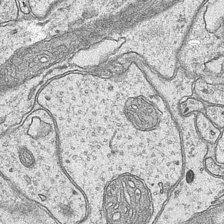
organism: Mouse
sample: CA1 Hippocampus